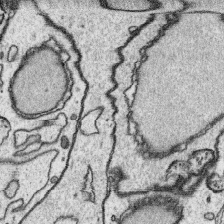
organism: Platynereis dumerilii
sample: Parapodia